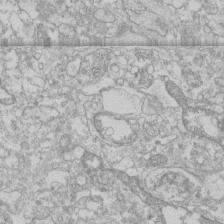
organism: Human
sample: CRL-1474